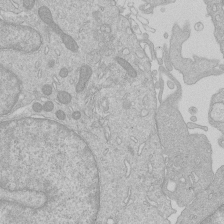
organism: Human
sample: Macrophage cells